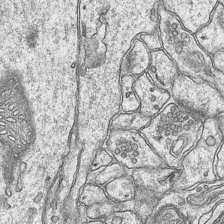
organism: Mouse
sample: CA1 Hippocampus